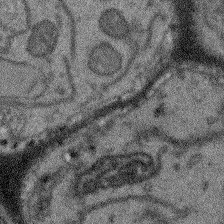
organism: Arabidopsis thaliana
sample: Root tip